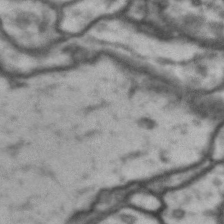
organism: Drosophila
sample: Brain